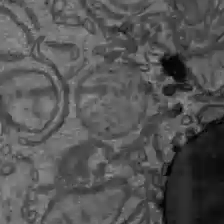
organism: C57BL Mouse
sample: Liver